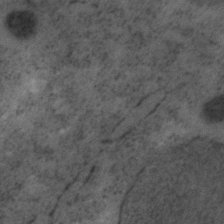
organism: C. elegans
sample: C. elegans embryo